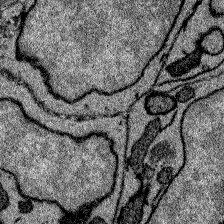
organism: Zebrafish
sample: Larval olfactory bulb